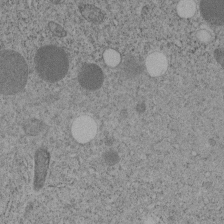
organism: C. elegans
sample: C. elegans embryo early stage